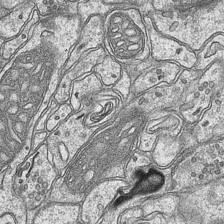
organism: Mouse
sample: CA1 Hippocampus